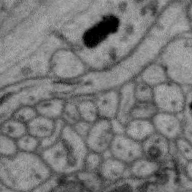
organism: Zebra finch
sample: Brain